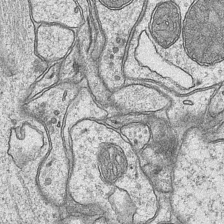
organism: Mouse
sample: CA1 Hippocampus